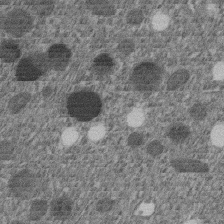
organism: C. elegans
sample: C. elegans embryo early stage